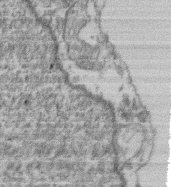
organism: Mouse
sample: T cell stromal cell synapse